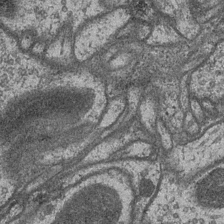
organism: Drosophila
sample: Optic medulla